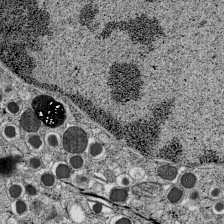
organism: C57BL Mouse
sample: Pancreatic islet